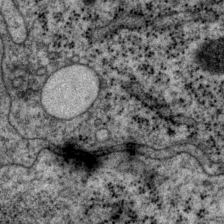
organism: P. pacificus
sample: Pharynx